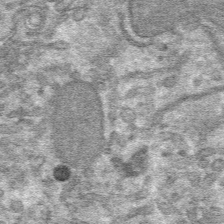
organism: Mouse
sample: Mouse hepatocytes